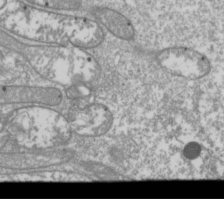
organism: Drosophila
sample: Cell division; meiosis; drosophila spermatocytes